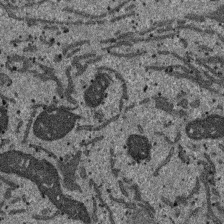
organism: Human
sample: Lung epithelial cells infected with SARS-CoV-2